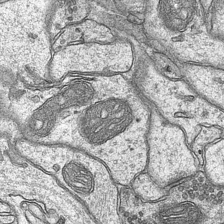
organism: Mouse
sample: CA1 Hippocampus